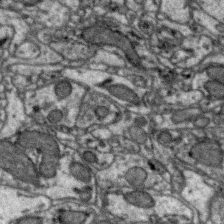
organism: Zebra finch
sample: Brain